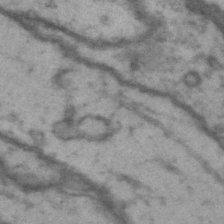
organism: Drosophila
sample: Brain